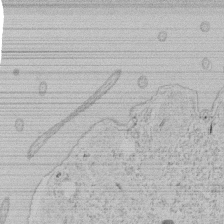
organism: Tetrahymena